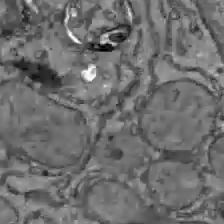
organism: C57BL Mouse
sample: Liver